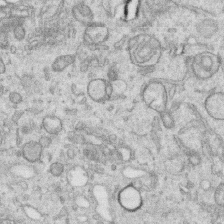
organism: Human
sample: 1205lu cells